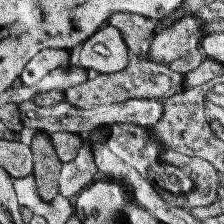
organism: Human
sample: Temporal Lobe